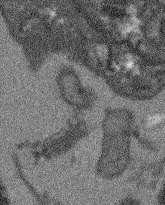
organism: Arabidopsis thaliana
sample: Root tip